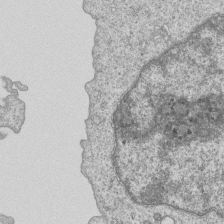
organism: Human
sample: MDA-MB-231 cells